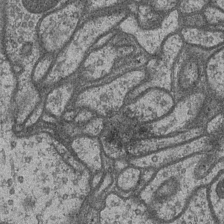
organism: Drosophila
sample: Optic medulla